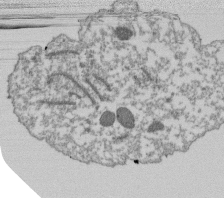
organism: Dictyostelium discoideum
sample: Dictyostelium multivesicular bodies